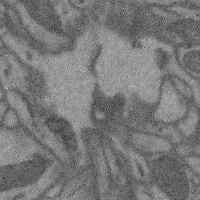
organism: Mouse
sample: Cerebral cortex